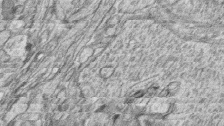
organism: Zebrafish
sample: synaptic ribbons in rod cells and cone cells